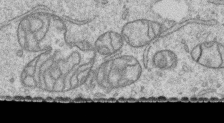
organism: Human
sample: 1205lu cells